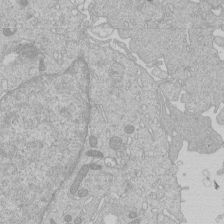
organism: Human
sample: Macrophage cells